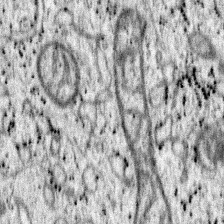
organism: Human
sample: HeLa cells